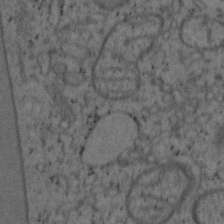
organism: Human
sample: HeLa cells